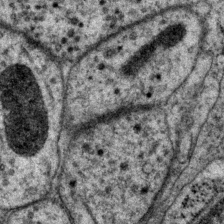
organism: P. pacificus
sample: Pharynx